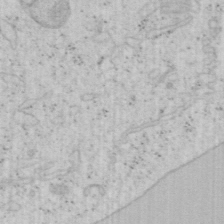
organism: Human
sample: HeLa cells